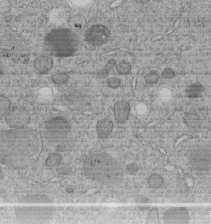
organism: C. elegans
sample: C. elegans embryo early stage